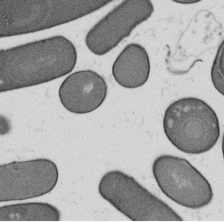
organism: B. subtilis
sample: Bacterial spore